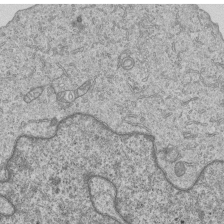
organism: Human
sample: MDA-MB-231 cells